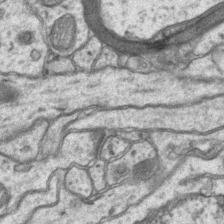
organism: Mouse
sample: CA1 Hippocampus